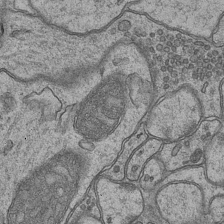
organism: Mouse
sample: CA1 Hippocampus